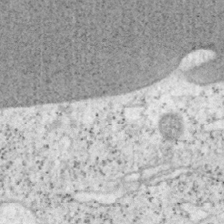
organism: Mouse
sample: OT-I killer T cells with ID8 ovarian cancer cells